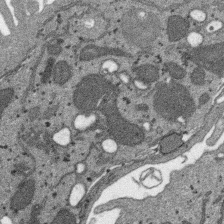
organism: Human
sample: Lung epithelial cells infected with SARS-CoV-2